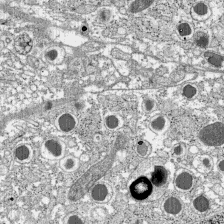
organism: C57BL Mouse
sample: Pancreatic islet